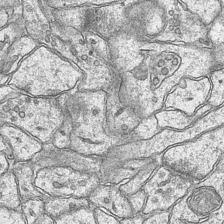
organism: Mouse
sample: CA1 Hippocampus